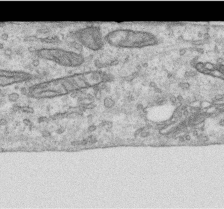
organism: Human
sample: Centriole in RPE cells